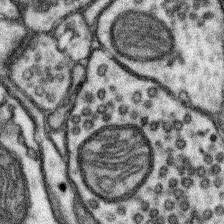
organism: Mouse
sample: Somatosensory cortex neuropil